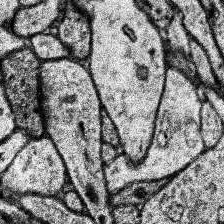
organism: Human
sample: Temporal Lobe